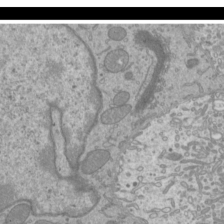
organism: Mouse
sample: Cilia; mouse epididymis